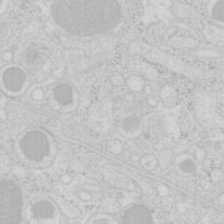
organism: Mouse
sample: Pancreas